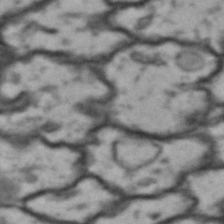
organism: Drosophila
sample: Brain